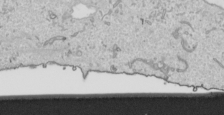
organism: Human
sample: Mitochondria in HCT116 cells